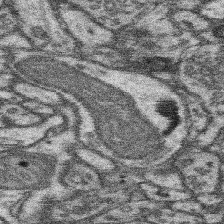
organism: Mouse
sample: Somatosensory cortex neuropil